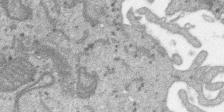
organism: Human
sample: Lung epithelial cells infected with SARS-CoV-2